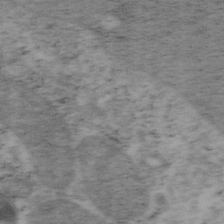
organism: Mouse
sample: OT-I killer T cells with ID8 ovarian cancer cells